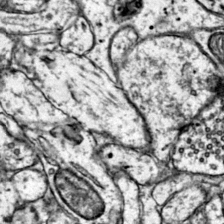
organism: Mouse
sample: Primary visual cortex